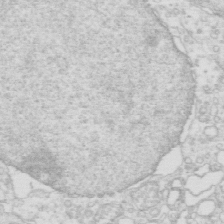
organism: Mouse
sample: Multiciliated cells